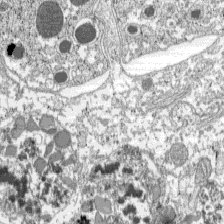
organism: C57BL Mouse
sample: Pancreatic islet